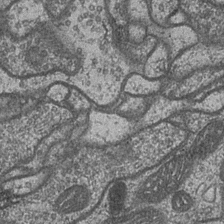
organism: Drosophila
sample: Optic medulla